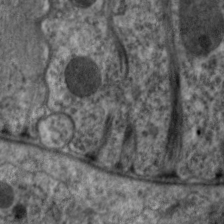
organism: C. elegans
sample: Pharynx